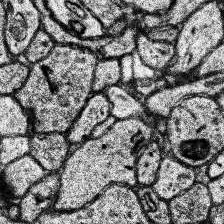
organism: Human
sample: Temporal Lobe